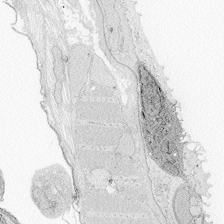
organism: Zebrafish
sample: Whole-Brain